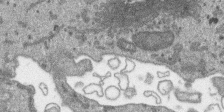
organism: Human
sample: Lung epithelial cells infected with SARS-CoV-2